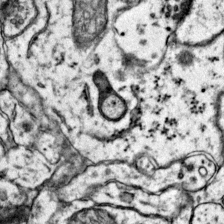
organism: Mouse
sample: Primary visual cortex